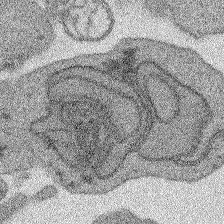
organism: Human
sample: HeLa cells